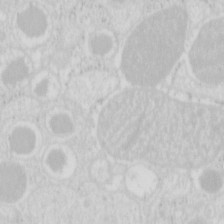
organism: Mouse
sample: Pancreas